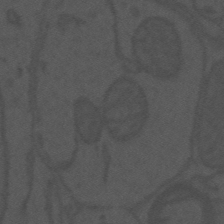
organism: Mouse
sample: Suprachiasmatic nucleus